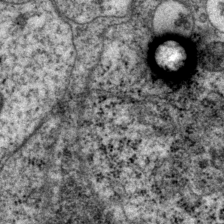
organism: P. pacificus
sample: Pharynx